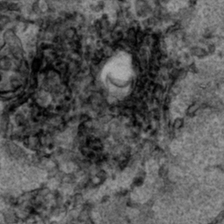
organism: Human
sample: Mitochondria in HCT116 cells